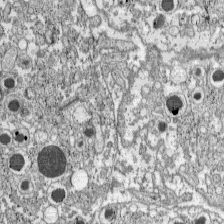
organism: C57BL Mouse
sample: Pancreatic islet